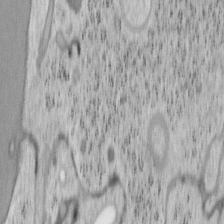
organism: Human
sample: HeLa cells